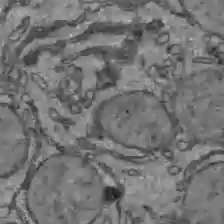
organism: C57BL Mouse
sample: Liver